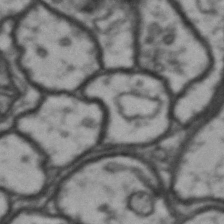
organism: Drosophila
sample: Brain